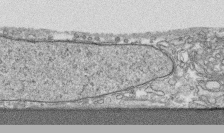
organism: Human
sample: CRL-1474